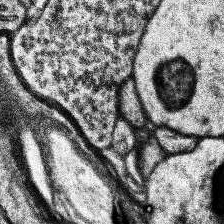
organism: Human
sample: Temporal Lobe